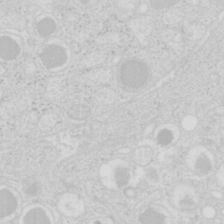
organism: Mouse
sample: Pancreas